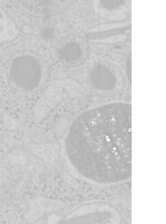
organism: Mouse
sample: Pancreas